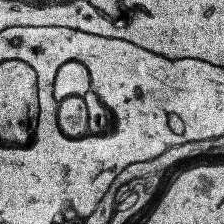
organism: Human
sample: Temporal Lobe